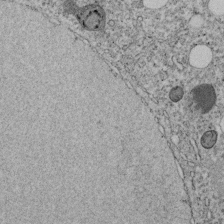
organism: C. elegans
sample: C. elegans embryo early stage